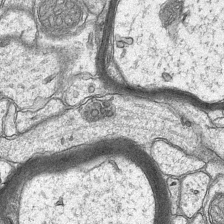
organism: Mouse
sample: CA1 Hippocampus